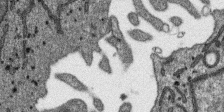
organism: Human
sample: Lung epithelial cells infected with SARS-CoV-2